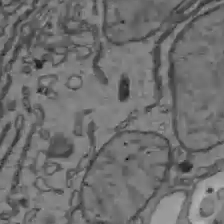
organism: C57BL Mouse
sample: Liver